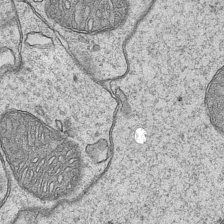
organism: Mouse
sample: CA1 Hippocampus